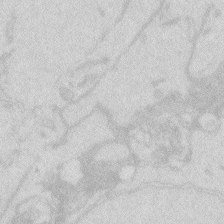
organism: Zebrafish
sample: Macrophage